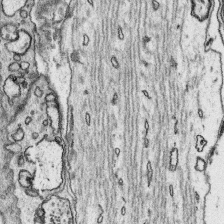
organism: Platynereis dumerilii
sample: Parapodia